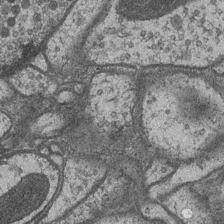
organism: Drosophila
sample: Optic medulla